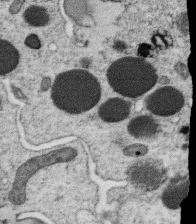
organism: C. elegans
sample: C. elegans oocyte; sperm cells